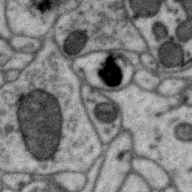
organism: Zebra finch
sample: Brain